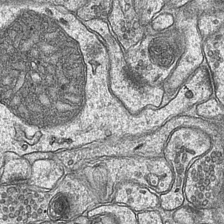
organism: Mouse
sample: CA1 Hippocampus